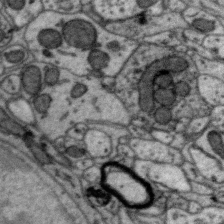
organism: Zebra finch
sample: Brain